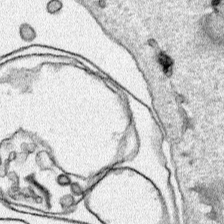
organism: Human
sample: Mitochondria in HCT116 cells